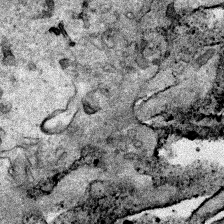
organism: Human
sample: Mitochondria in HCT116 cells